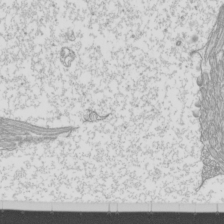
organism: Mouse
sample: Cilia; mouse epididymis